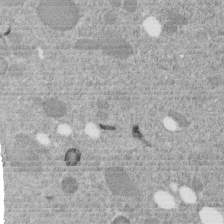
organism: C. elegans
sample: C. elegans embryo early stage